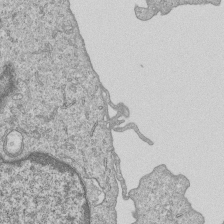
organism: Human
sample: MDA-MB-231 cells